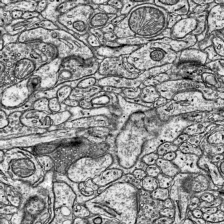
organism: Mouse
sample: Visual Cortex